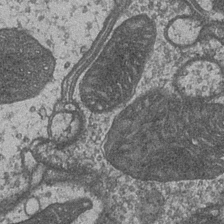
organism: Drosophila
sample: Optic medulla